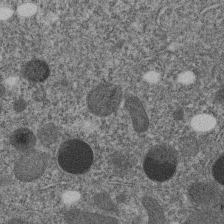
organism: C. elegans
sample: C. elegans embryo early stage